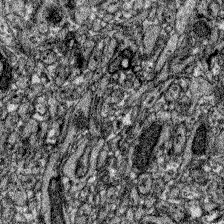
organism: Zebrafish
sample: Larval olfactory bulb